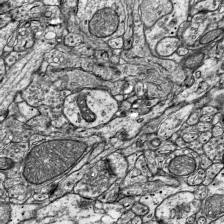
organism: Mouse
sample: Visual Cortex